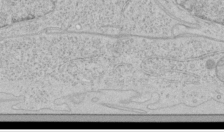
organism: Human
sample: Mitochondria in HCT116 cells